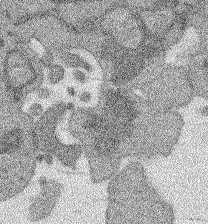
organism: Human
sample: HeLa cells